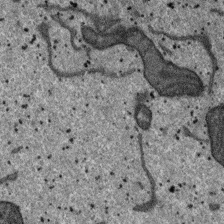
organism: Human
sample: Lung epithelial cells, uninfected (mock) control